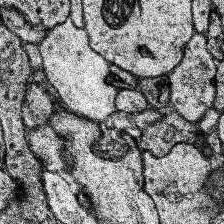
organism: Human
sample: Temporal Lobe